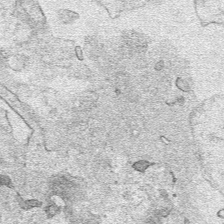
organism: Human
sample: Mitochondria in HCT116 cells